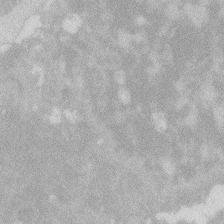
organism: Zebrafish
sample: Macrophage